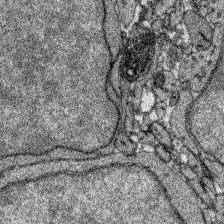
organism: Zebrafish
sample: Larval olfactory bulb